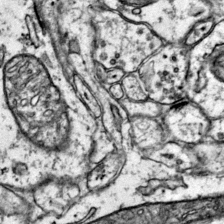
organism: Mouse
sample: Primary visual cortex